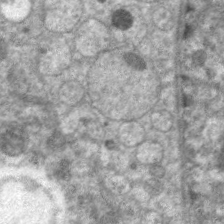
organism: C. elegans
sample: Pharynx